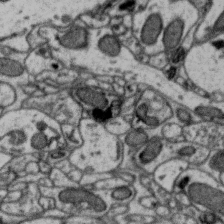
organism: Zebra finch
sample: Brain